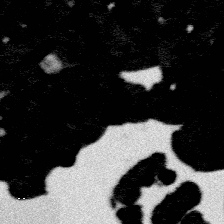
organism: Platynereis dumerilii